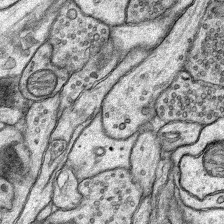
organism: Rat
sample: Hippocampus